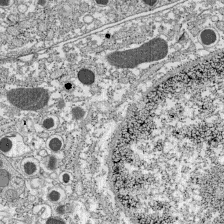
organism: C57BL Mouse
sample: Pancreatic islet